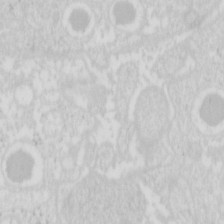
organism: Mouse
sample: Pancreas